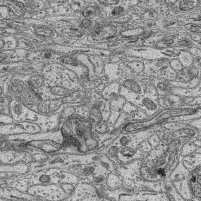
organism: Mouse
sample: Retina